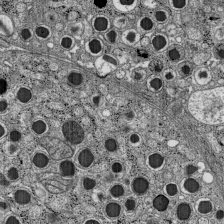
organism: C57BL Mouse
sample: Pancreatic islet